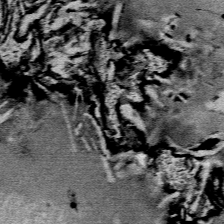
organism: Mouse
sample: Mouse Salivary gland